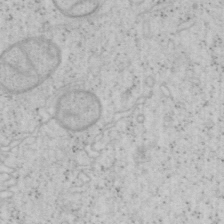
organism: Human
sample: HeLa cells